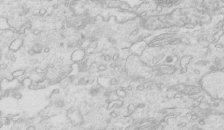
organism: Mouse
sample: Multiciliated cells